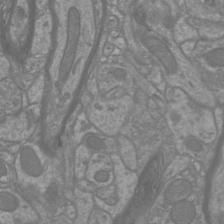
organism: Mouse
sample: Cortical neurons